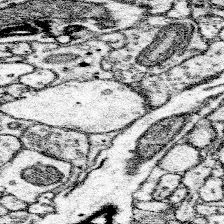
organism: Mouse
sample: Somatosensory cortex neuropil